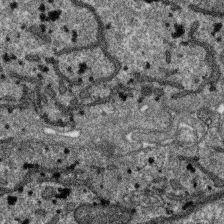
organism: Human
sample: Lung epithelial cells infected with SARS-CoV-2